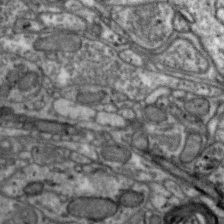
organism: Zebra finch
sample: Brain